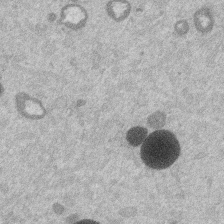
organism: Mouse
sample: Dividing mouse embryo 1 cell stage